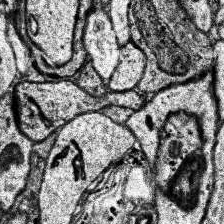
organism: Human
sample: Temporal Lobe